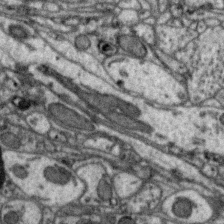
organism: Zebra finch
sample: Brain